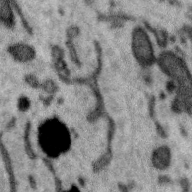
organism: Zebra finch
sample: Brain